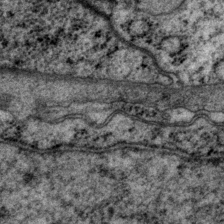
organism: P. pacificus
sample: Pharynx